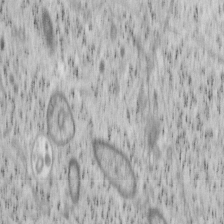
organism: Human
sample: HeLa cells